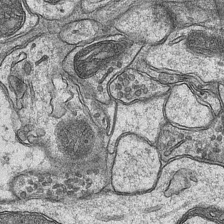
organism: Mouse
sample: CA1 Hippocampus